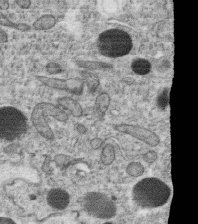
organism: C. elegans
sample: C. elegans oocyte; sperm cells